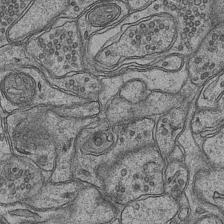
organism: Mouse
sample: CA1 Hippocampus